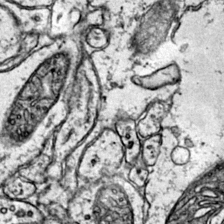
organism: Mouse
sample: Primary visual cortex